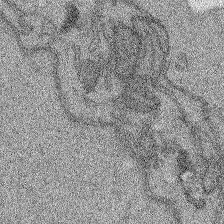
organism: Human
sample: HeLa cells